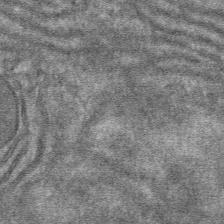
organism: Mouse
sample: Mouse hepatocytes